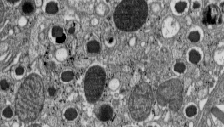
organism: C57BL Mouse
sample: Pancreatic islet